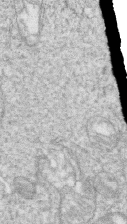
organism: Human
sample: HeLa cell HIV synapse